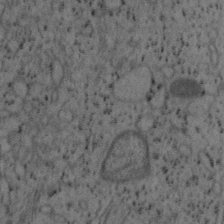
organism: Human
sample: HeLa cells